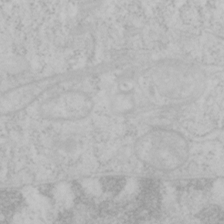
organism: Mouse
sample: OT-I killer T cells with ID8 ovarian cancer cells